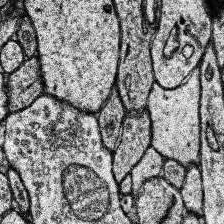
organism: Human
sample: Temporal Lobe